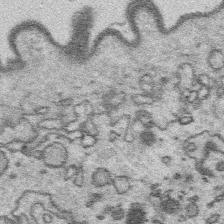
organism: Platynereis dumerilii